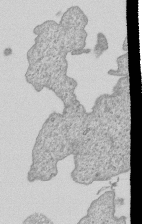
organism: Human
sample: MDA-MB-231 cells